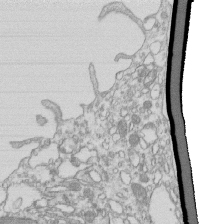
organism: Mouse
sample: Macrophages